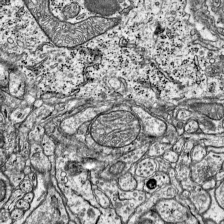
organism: Mouse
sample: Visual Cortex